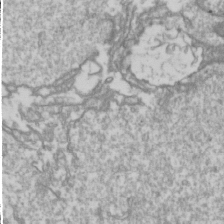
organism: Drosophila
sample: Cell division; meiosis; drosophila spermatocytes